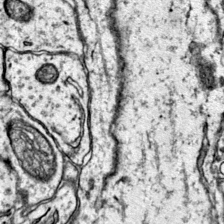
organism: Mouse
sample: Primary visual cortex